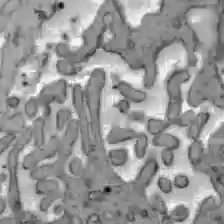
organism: C57BL Mouse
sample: Liver